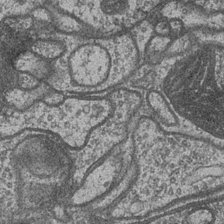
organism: Drosophila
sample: Optic medulla